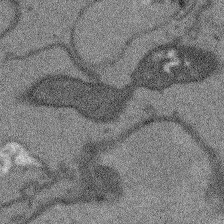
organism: Arabidopsis thaliana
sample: Root tip